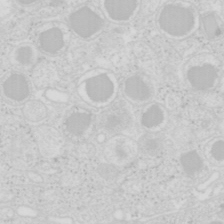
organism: Mouse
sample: Pancreas